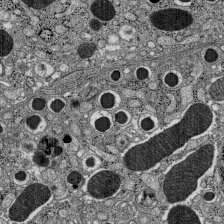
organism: C57BL Mouse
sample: Pancreatic islet